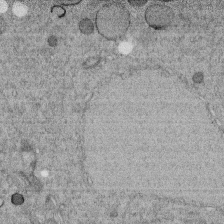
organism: C. elegans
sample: C. elegans embryo early stage